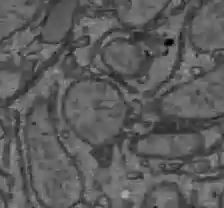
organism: C57BL Mouse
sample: Liver